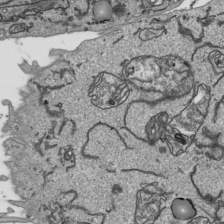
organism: Human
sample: Mitochondria in HCT116 cells